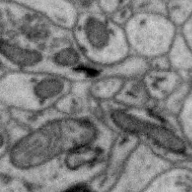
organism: Zebra finch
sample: Brain